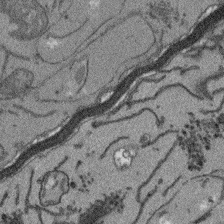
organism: Arabidopsis thaliana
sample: Root tip